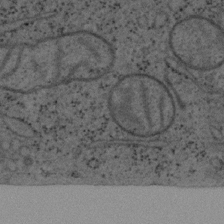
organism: Human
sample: HeLa cells